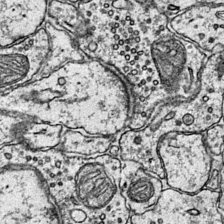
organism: Mouse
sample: Primary visual cortex